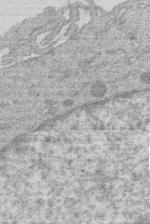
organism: Human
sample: Macrophage cells